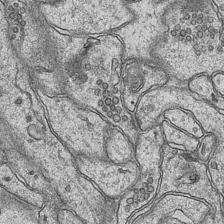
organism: Mouse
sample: CA1 Hippocampus